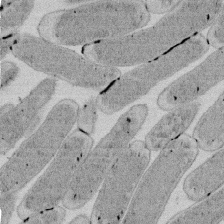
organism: E. coli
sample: Bacterial nucleoid